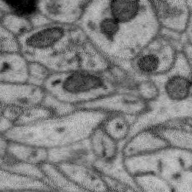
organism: Zebra finch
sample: Brain